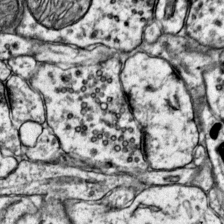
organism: Mouse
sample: Primary visual cortex